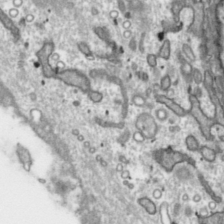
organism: Toxoplasma gondii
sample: Parasites in a vacuole inside a host cell